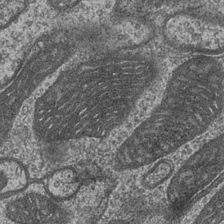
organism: Drosophila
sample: Optic medulla